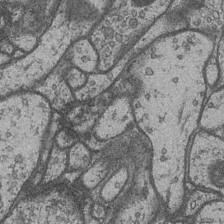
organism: Drosophila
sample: Optic medulla